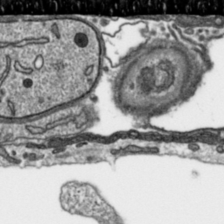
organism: Toxoplasma gondii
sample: Parasites in a vacuole inside a host cell